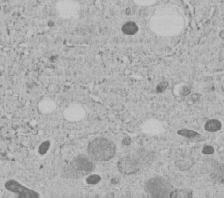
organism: C. elegans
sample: C. elegans embryo early stage